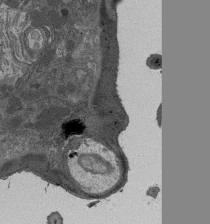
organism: Drosophila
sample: Antenna